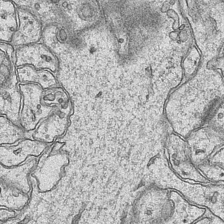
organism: Mouse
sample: CA1 Hippocampus